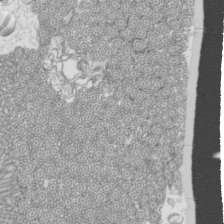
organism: Mouse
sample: Cilia; mouse epididymis